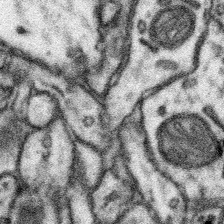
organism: Mouse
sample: Somatosensory cortex neuropil